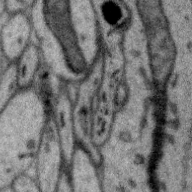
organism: Zebra finch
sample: Brain